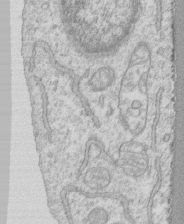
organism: Human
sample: CRL-1474